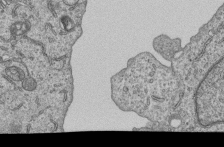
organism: Human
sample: MDA-MB-231 cells